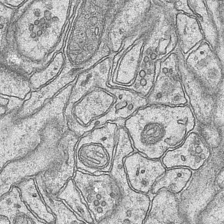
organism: Mouse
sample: CA1 Hippocampus